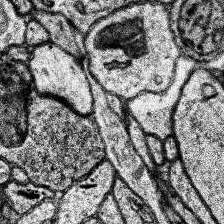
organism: Human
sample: Temporal Lobe